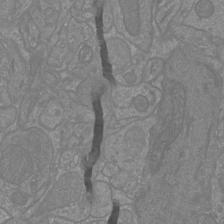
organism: Mouse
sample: Cortical neurons